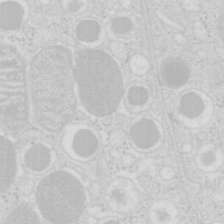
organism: Mouse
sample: Pancreas